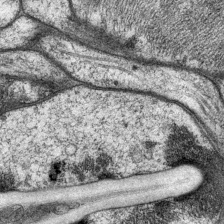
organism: P. pacificus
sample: Pharynx